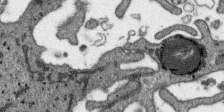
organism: Human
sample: Lung epithelial cells, uninfected (mock) control